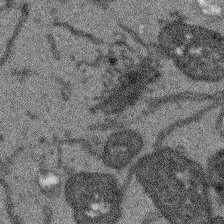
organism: Arabidopsis thaliana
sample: Root tip